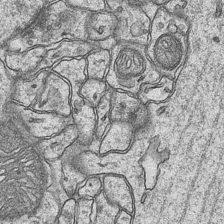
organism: Mouse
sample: CA1 Hippocampus